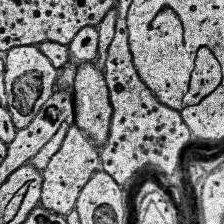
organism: Human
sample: Temporal Lobe